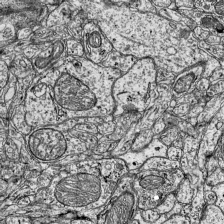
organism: Mouse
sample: Visual Cortex